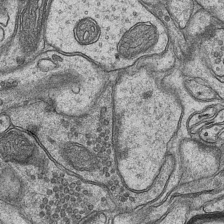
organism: Mouse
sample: CA1 Hippocampus